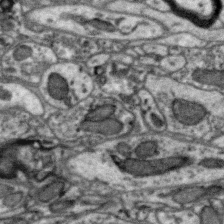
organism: Zebra finch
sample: Brain